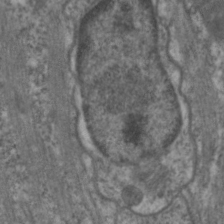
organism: C. elegans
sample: Pharynx